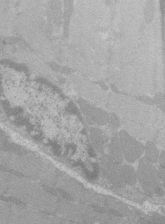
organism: C57BL Mouse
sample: Tibialis anterior muscle cell